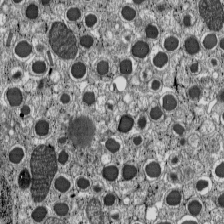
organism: C57BL Mouse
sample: Pancreatic islet